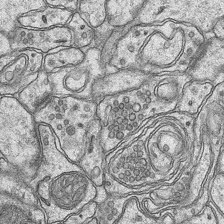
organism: Mouse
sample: CA1 Hippocampus